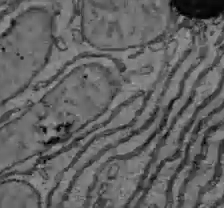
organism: C57BL Mouse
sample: Liver